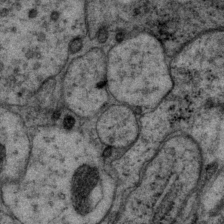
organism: P. pacificus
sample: Pharynx